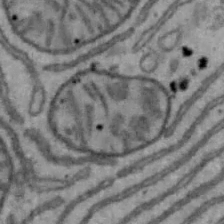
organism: Mouse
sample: Liver